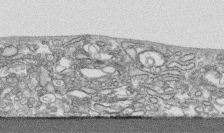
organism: Human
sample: CRL-1474